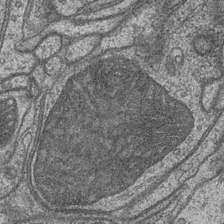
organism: Drosophila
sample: Optic medulla